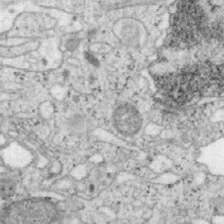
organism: Mouse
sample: OT-I killer T cells with ID8 ovarian cancer cells